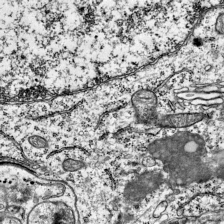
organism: Mouse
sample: Visual Cortex